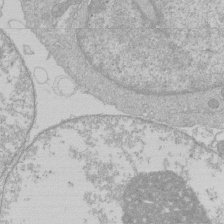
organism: Human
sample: Macrophage cells